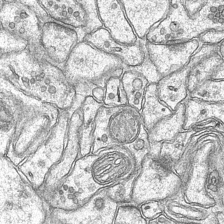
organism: Mouse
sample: CA1 Hippocampus